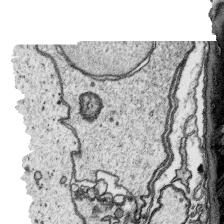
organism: Platynereis dumerilii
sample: Parapodia